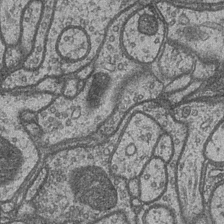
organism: Drosophila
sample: Optic medulla